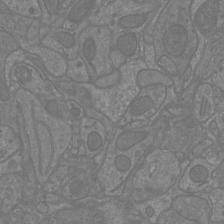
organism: Mouse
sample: Cortical neurons